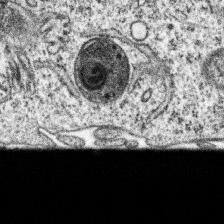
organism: Human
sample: HeLa cells